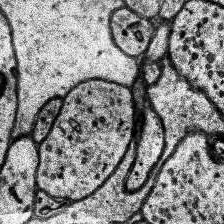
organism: Human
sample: Temporal Lobe